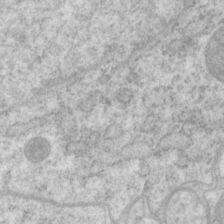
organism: P. pacificus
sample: Pharynx